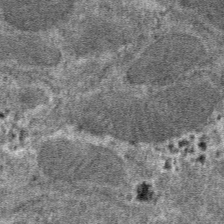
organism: Mouse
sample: Mouse hepatocytes